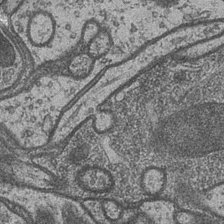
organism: Drosophila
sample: Optic medulla